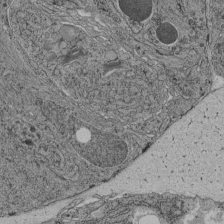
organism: C. elegans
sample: C. elegans pharynx